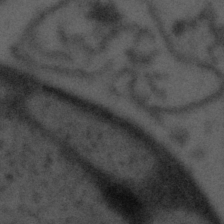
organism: Tuwongella immobilis